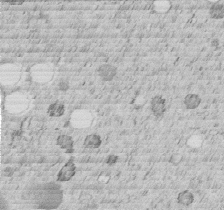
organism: C. elegans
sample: C. elegans embryo early stage